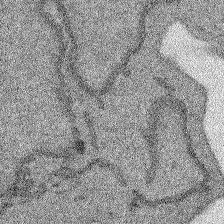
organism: Human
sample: HeLa cells